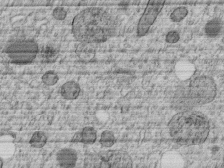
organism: C. elegans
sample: C. elegans embryo early stage